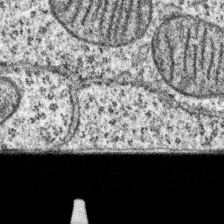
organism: Human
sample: HeLa cells